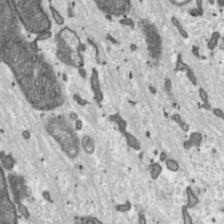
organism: Toxoplasma gondii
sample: Parasites in a vacuole inside a host cell